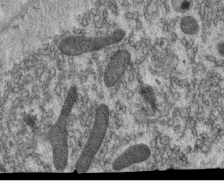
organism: C. elegans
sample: C. elegans oocyte; sperm cells